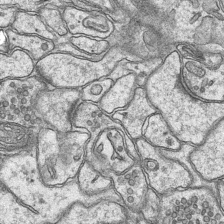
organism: Mouse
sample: CA1 Hippocampus